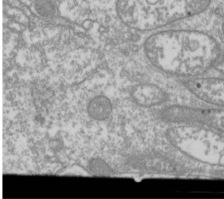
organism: Drosophila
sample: Cell division; meiosis; drosophila spermatocytes